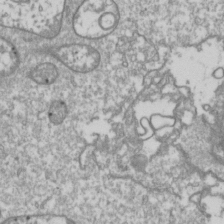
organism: Drosophila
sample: Cell division; meiosis; drosophila spermatocytes